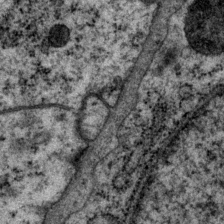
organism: P. pacificus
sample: Pharynx